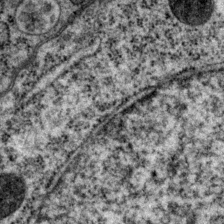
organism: P. pacificus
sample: Pharynx